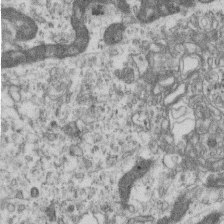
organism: Mouse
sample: Centriole in ependymal cells